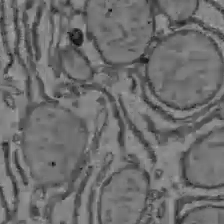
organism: C57BL Mouse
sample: Liver